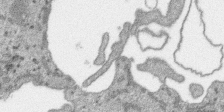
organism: Human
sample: Lung epithelial cells infected with SARS-CoV-2